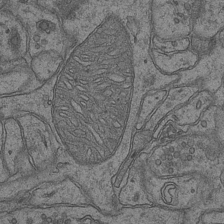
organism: Mouse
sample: CA1 Hippocampus